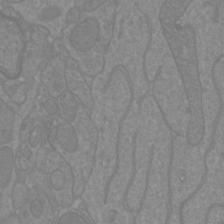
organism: Mouse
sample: Cortical neurons